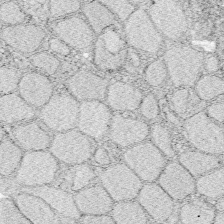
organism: Zebrafish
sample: Whole-Brain